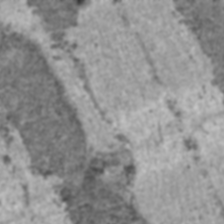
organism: C57BL Mouse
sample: Heart